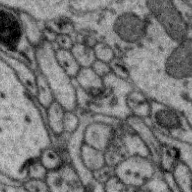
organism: Zebra finch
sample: Brain